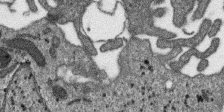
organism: Human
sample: Lung epithelial cells infected with SARS-CoV-2